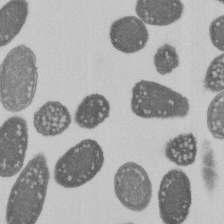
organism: E. coli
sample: Bacterial nucleoid